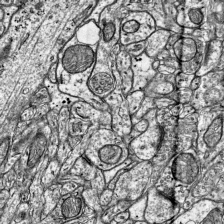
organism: Mouse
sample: Visual Cortex